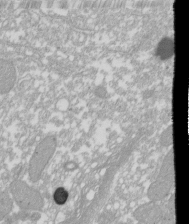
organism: Xenopus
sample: Cilia; centrioles in frog embryo cells